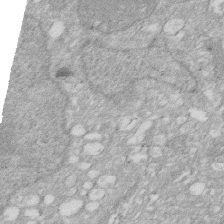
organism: Human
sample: HIV infected U937 cells